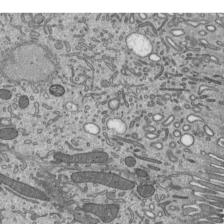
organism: Mouse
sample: Mouse epididymis efferent ductule cilia